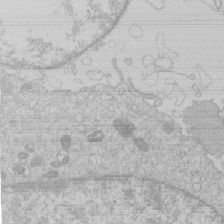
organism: Human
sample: Macrophage cells